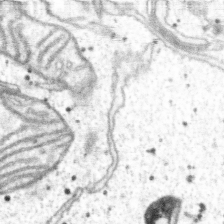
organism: Human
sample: HeLa cells